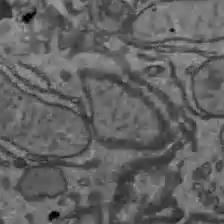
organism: C57BL Mouse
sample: Liver